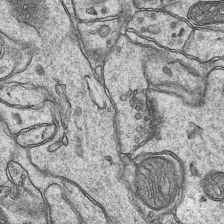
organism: Mouse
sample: CA1 Hippocampus